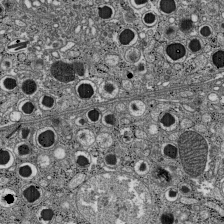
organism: C57BL Mouse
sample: Pancreatic islet